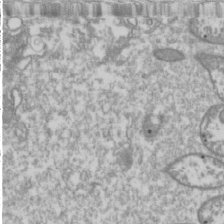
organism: Drosophila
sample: Cell division; meiosis; drosophila spermatocytes